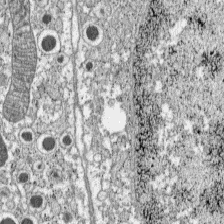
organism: C57BL Mouse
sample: Pancreatic islet